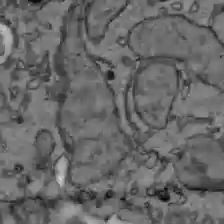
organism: C57BL Mouse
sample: Liver